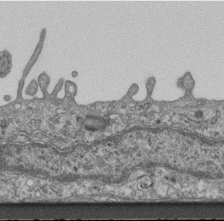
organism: Mouse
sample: Centriole in ependymal cells